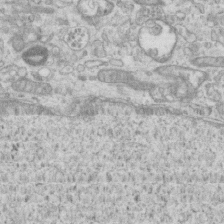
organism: Mouse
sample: Centriole in ependymal cells